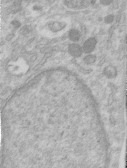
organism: Human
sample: Centriole in RPE cells